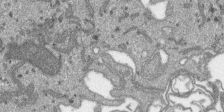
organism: Human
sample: Lung epithelial cells infected with SARS-CoV-2